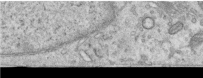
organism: Human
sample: Centriole in RPE cells